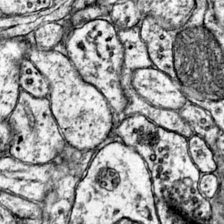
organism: Mouse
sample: Primary visual cortex